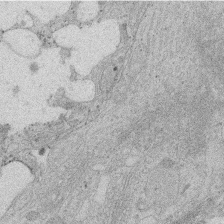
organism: Rat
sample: Salivary granule